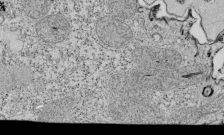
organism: Tetrahymena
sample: Cilia in tetrahymena